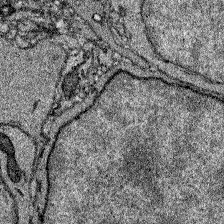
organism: Zebrafish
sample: Larval olfactory bulb